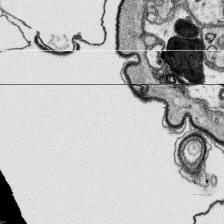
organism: Platynereis dumerilii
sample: Parapodia